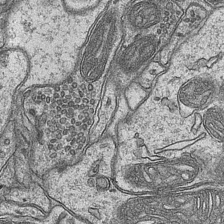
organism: Mouse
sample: CA1 Hippocampus